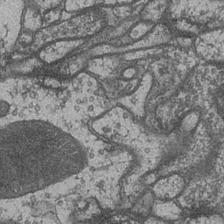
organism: Drosophila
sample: Optic medulla